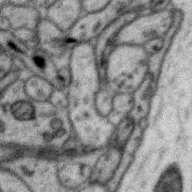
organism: Zebra finch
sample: Brain